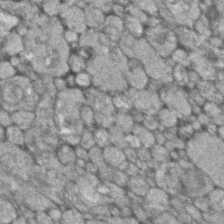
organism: Zebrafish